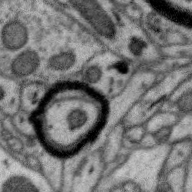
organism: Zebra finch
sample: Brain